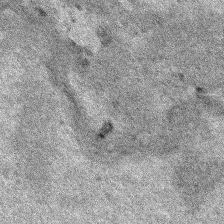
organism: Human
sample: Mitochondria in HCT116 cells